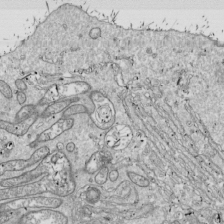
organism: Drosophila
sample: Cell division; meiosis; drosophila spermatocytes